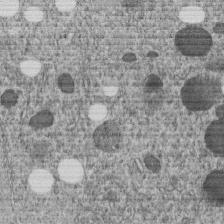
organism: C. elegans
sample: C. elegans embryo early stage